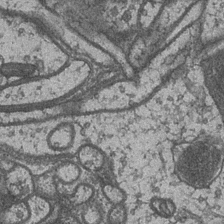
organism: Drosophila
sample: Optic medulla